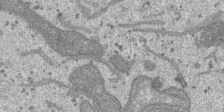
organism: Human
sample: Lung epithelial cells infected with SARS-CoV-2